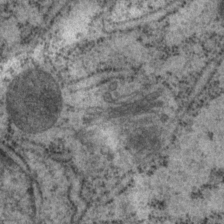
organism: P. pacificus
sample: Pharynx